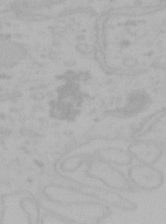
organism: Mouse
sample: Choroid plexus